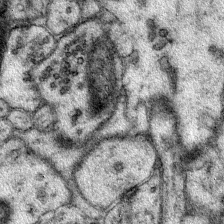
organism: Mouse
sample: Primary visual cortex